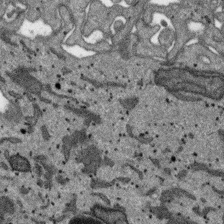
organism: Human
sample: Lung epithelial cells, uninfected (mock) control